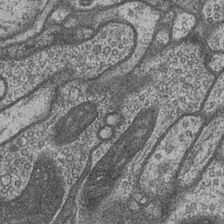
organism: Drosophila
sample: Optic medulla